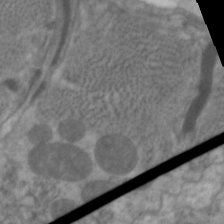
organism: C. elegans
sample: Pharynx